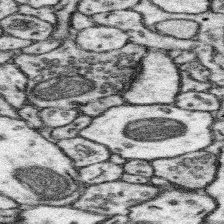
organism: Mouse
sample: Somatosensory cortex neuropil